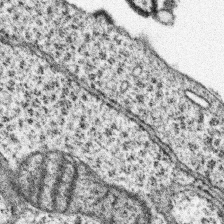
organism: Human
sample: HeLa cells